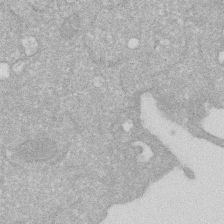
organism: Human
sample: HIV infected U937 cells